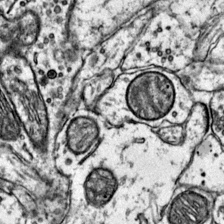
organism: Mouse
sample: Primary visual cortex